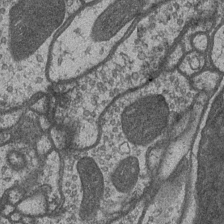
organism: Drosophila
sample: Optic medulla